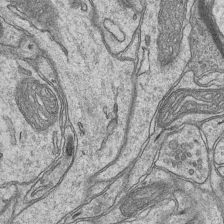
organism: Mouse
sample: CA1 Hippocampus